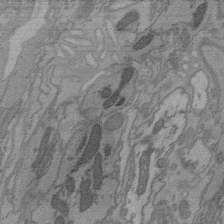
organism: C. elegans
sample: AFD neurons C. elegans